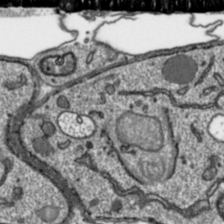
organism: Toxoplasma gondii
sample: Parasites in a vacuole inside a host cell